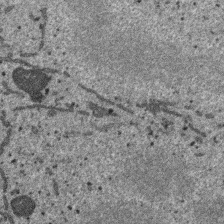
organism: Human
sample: Lung epithelial cells infected with SARS-CoV-2